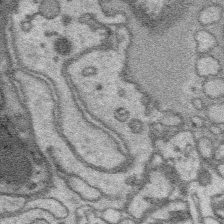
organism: Platynereis dumerilii